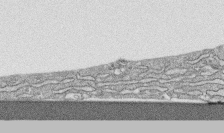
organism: Human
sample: CRL-1474